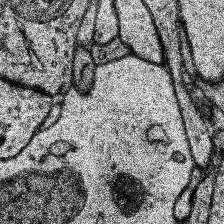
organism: Human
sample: Temporal Lobe